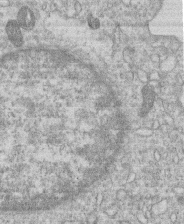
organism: Human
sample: Macrophage cells